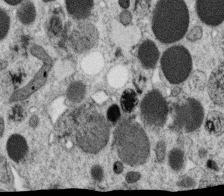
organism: C. elegans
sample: C. elegans oocyte; sperm cells